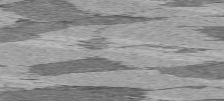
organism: C57BL Mouse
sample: Heart